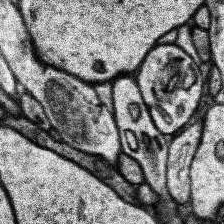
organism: Human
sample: Temporal Lobe